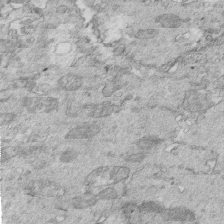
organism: Mouse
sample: Multiciliated cells